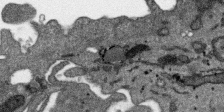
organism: Human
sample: Lung epithelial cells, uninfected (mock) control